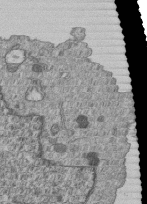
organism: Human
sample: MDA-MB-231 cells